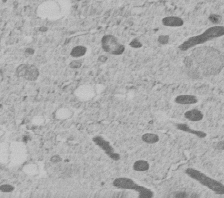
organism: C. elegans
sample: C. elegans embryo early stage